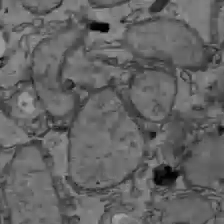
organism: C57BL Mouse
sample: Liver